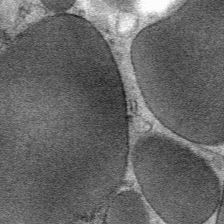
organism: Mouse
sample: Mouse Salivary gland